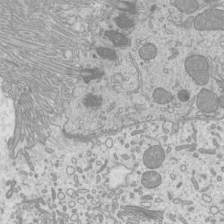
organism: Mouse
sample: Cilia; mouse epididymis